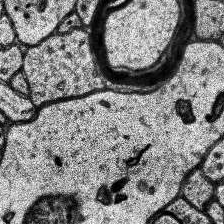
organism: Human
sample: Temporal Lobe